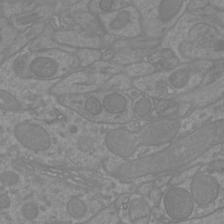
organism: Mouse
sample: Cortical neurons